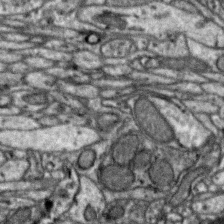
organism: Zebra finch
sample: Brain